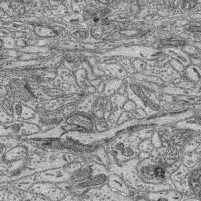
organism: Mouse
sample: Retina